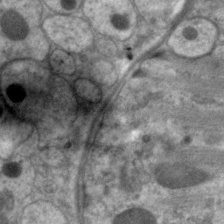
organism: C. elegans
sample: Pharynx